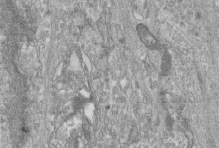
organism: Human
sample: Centriole in fibroblast cells